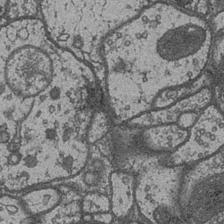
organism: Drosophila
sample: Optic medulla